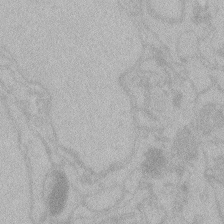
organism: Zebrafish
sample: Macrophage infected with Toxoplasma gondii